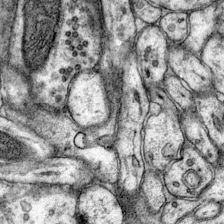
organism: Mouse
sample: Primary visual cortex